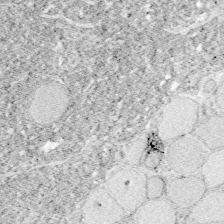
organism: Zebrafish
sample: Whole-Brain